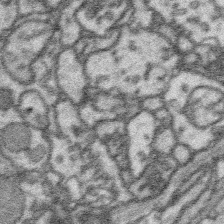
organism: Platynereis dumerilii